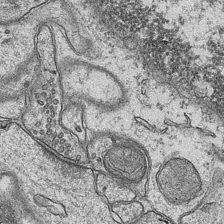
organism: Mouse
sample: CA1 Hippocampus